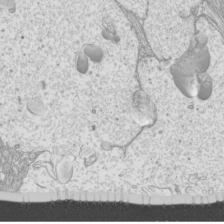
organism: Mouse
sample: Cilia; mouse epididymis